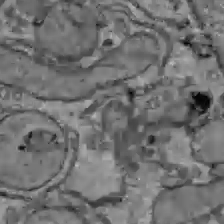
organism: C57BL Mouse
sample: Liver